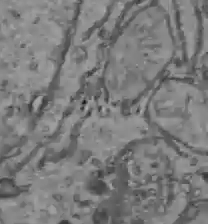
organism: C57BL Mouse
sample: Liver